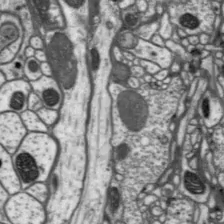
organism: Drosophila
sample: Protocerebral bridge